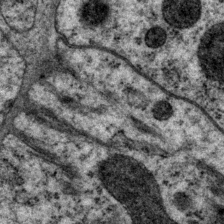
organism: P. pacificus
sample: Pharynx